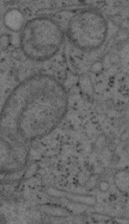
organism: Human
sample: HeLa cells